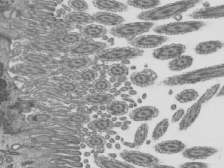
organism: Mouse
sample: Mouse epididymis efferent ductule cilia